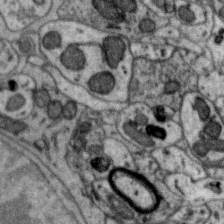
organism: Zebra finch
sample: Brain